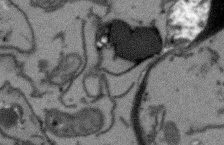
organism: Arabidopsis thaliana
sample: Root tip